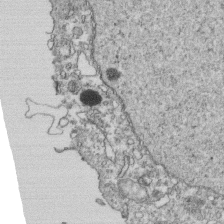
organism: Human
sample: HeLa cell HIV synapse